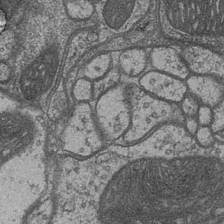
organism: Drosophila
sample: Optic medulla